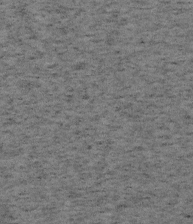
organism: Mouse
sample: OT-I killer T cells with ID8 ovarian cancer cells